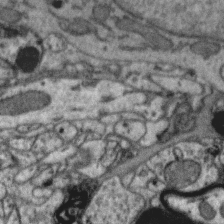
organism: Zebra finch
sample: Brain